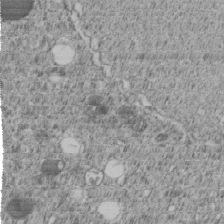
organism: C. elegans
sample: C. elegans embryo early stage